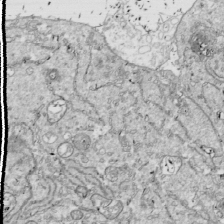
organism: Drosophila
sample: Cell division; meiosis; drosophila spermatocytes